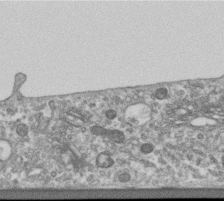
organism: Human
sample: Centriole in RPE cells